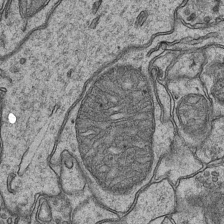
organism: Mouse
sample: CA1 Hippocampus